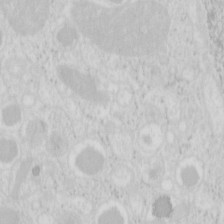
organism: Mouse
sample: Pancreas